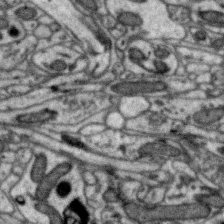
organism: Zebra finch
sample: Brain